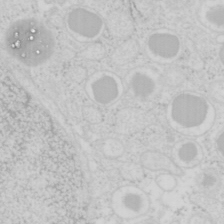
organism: Mouse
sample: Pancreas